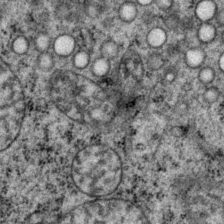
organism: P. pacificus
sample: Pharynx